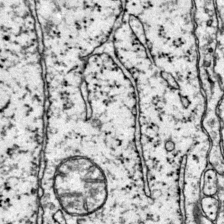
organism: Mouse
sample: Primary visual cortex